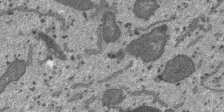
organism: Human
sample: Lung epithelial cells infected with SARS-CoV-2